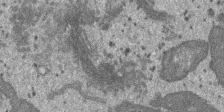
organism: Human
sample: Lung epithelial cells infected with SARS-CoV-2